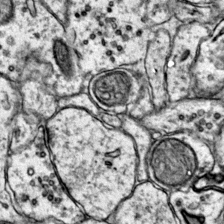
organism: Mouse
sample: Primary visual cortex